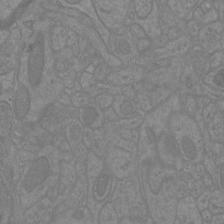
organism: Mouse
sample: Cortical neurons